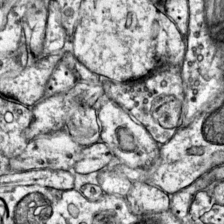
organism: Mouse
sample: Primary visual cortex